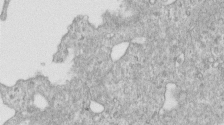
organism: Human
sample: Centriole in RPE cells